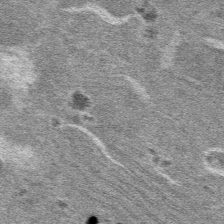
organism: Mouse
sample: Mouse hepatocytes